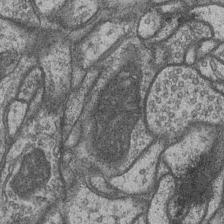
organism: Drosophila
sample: Optic medulla